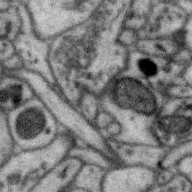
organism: Zebra finch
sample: Brain